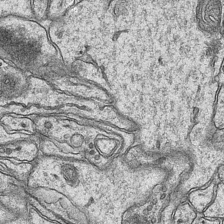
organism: Mouse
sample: CA1 Hippocampus